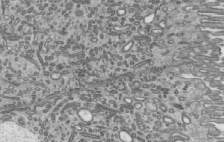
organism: Mouse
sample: Mouse epididymis efferent ductule cilia